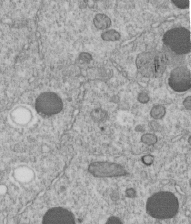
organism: C. elegans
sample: C. elegans embryo early stage